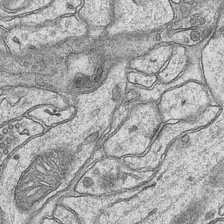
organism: Mouse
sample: CA1 Hippocampus